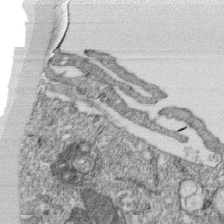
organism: African green monkey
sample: Vero E6 cells infected with SARS-CoV-2